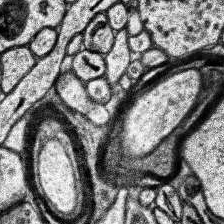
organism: Human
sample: Temporal Lobe